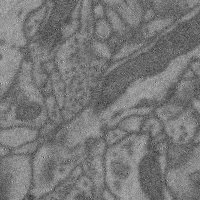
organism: Mouse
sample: Cerebral cortex